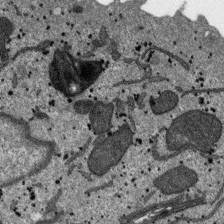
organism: Human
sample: Lung epithelial cells, uninfected (mock) control